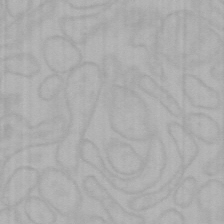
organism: Mouse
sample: Choroid plexus